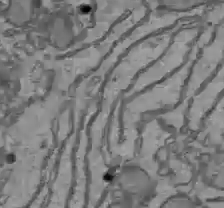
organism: C57BL Mouse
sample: Liver